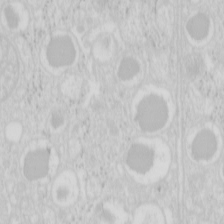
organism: Mouse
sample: Pancreas